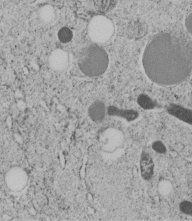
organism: C. elegans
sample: C. elegans embryo early stage